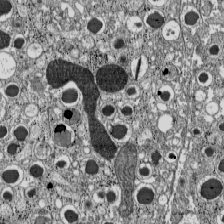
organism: C57BL Mouse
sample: Pancreatic islet